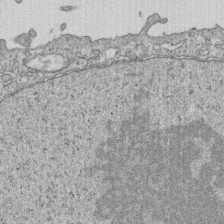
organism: Human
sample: HeLa cell HIV synapse